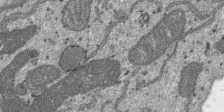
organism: Human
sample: Lung epithelial cells infected with SARS-CoV-2